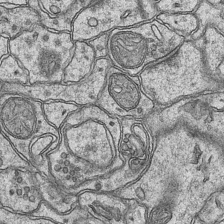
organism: Mouse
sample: CA1 Hippocampus